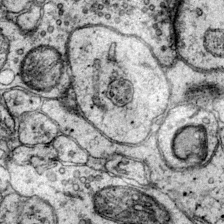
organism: Mouse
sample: Primary visual cortex